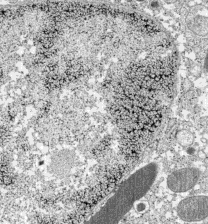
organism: C57BL Mouse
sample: Pancreatic islet